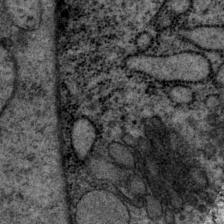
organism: P. pacificus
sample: Pharynx